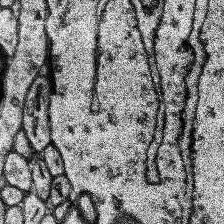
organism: Human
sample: Temporal Lobe